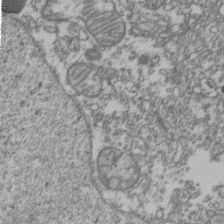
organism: Human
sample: Activated Jurkat CD4+ T cells